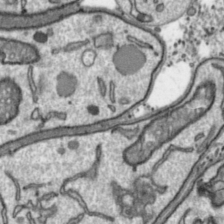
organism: Toxoplasma gondii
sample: Parasites in a vacuole inside a host cell